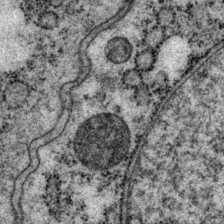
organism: P. pacificus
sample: Pharynx